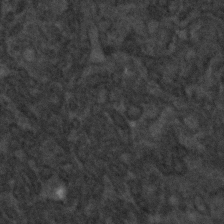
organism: C. elegans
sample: C. elegans embryo